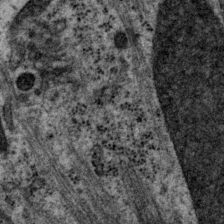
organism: P. pacificus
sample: Pharynx